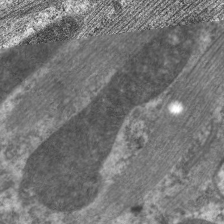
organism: C. elegans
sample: Pharynx